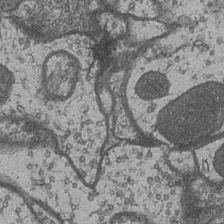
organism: Drosophila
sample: Optic medulla